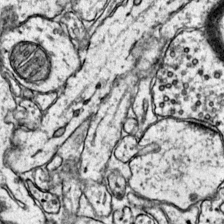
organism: Mouse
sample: Primary visual cortex